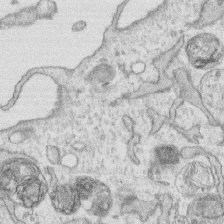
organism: Human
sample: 1205lu cells